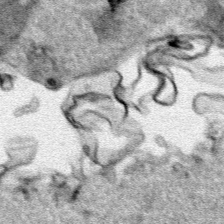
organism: Human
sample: Mitochondria in HCT116 cells